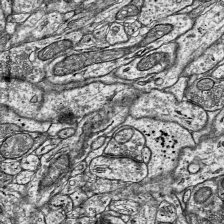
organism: Mouse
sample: Visual Cortex